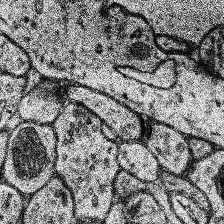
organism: Human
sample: Temporal Lobe